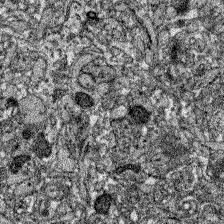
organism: Zebrafish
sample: Larval olfactory bulb